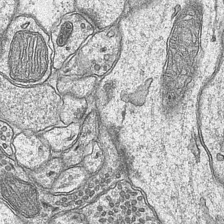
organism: Mouse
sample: CA1 Hippocampus